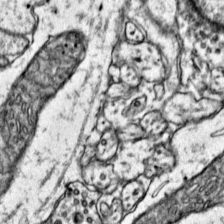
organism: Mouse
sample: Primary visual cortex